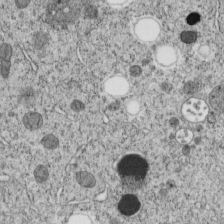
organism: C. elegans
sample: C. elegans embryo early stage